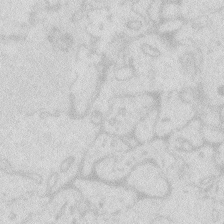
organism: Zebrafish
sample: Macrophage